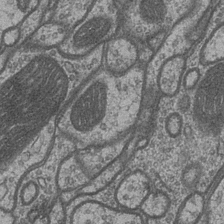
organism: Drosophila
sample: Optic medulla